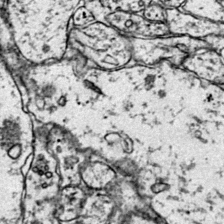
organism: Mouse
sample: Primary visual cortex